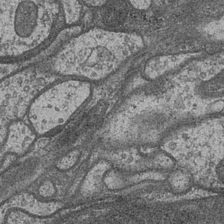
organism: Drosophila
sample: Optic medulla